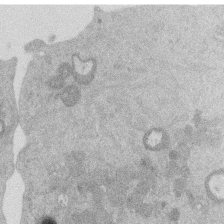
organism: Mouse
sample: Dividing mouse embryo 1 cell stage